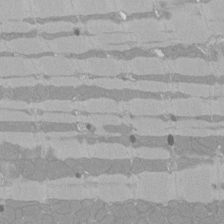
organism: Rat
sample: Left ventricle